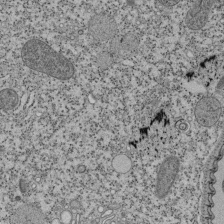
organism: Tetrahymena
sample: Cilia in tetrahymena